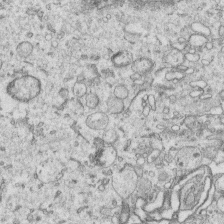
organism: Human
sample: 1205lu cells